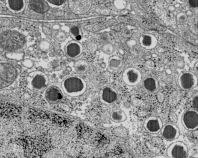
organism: C57BL Mouse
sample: Pancreatic islet